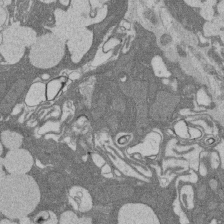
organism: Rat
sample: Salivary granule